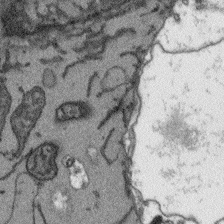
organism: Arabidopsis thaliana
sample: Root tip